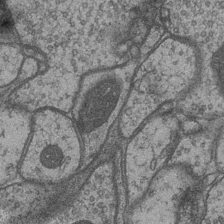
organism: Drosophila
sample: Optic medulla